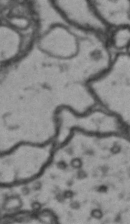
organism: Drosophila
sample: Brain